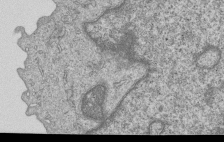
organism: Human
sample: MDA-MB-231 cells